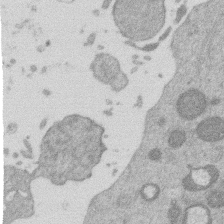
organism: Mouse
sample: Dividing mouse embryo 1 cell stage